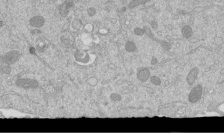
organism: Mouse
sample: ED-1 cell nuclei; centrioles